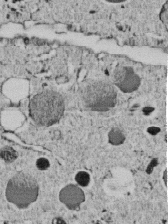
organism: C. elegans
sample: C. elegans embryo early stage